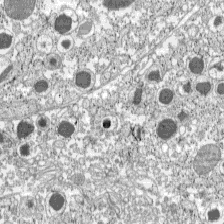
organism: C57BL Mouse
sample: Pancreatic islet